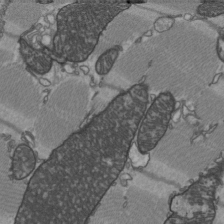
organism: C57BL Mouse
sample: Heart